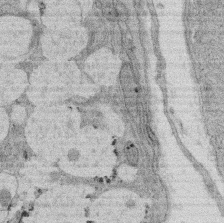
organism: Rat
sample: Salivary granule